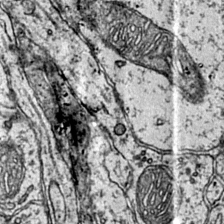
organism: Mouse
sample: Primary visual cortex